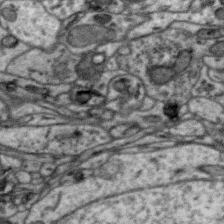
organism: Zebra finch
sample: Brain